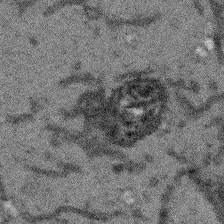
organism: Arabidopsis thaliana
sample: Root tip